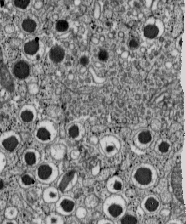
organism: C57BL Mouse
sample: Pancreatic islet